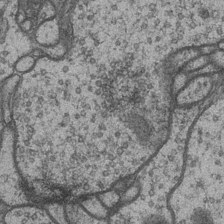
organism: Drosophila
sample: Optic medulla